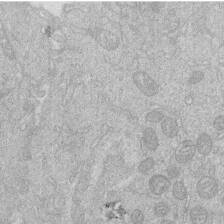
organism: Human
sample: Macrophage cells